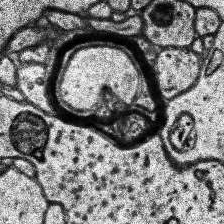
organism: Human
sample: Temporal Lobe